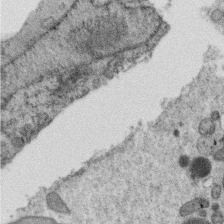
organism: C. elegans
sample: C. elegans oocyte; sperm cells